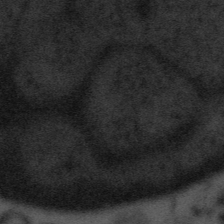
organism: Tuwongella immobilis